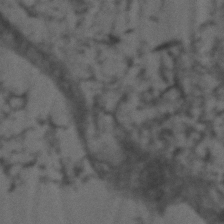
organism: Zebrafish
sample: Zebrafish embryo